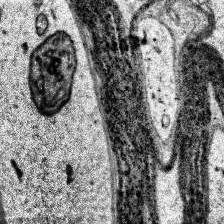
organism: Human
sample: Temporal Lobe